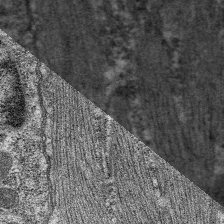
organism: C. elegans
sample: Pharynx